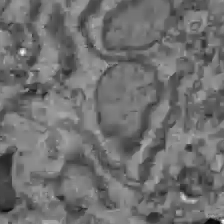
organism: C57BL Mouse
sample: Liver